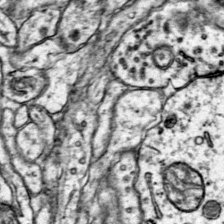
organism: Mouse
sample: Primary visual cortex